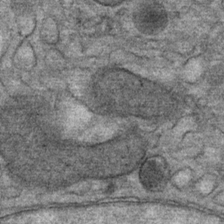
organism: Mouse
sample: Mouse Salivary gland